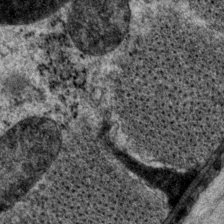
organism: P. pacificus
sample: Pharynx